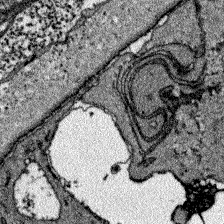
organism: Zebrafish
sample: Larval olfactory bulb